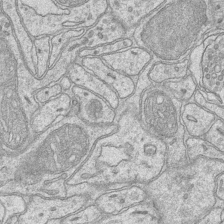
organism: Mouse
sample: CA1 Hippocampus